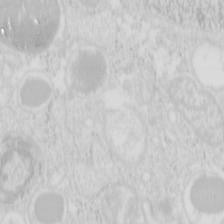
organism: Mouse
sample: Pancreas